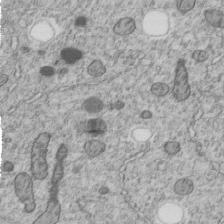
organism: C. elegans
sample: C. elegans embryo early stage